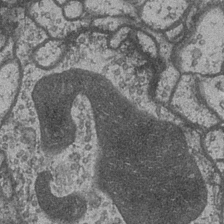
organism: Drosophila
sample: Optic medulla